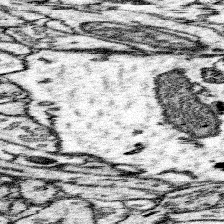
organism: Mouse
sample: Somatosensory cortex neuropil